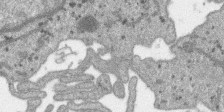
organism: Human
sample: Lung epithelial cells infected with SARS-CoV-2